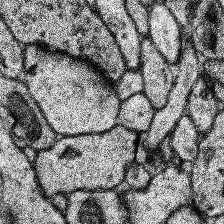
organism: Human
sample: Temporal Lobe